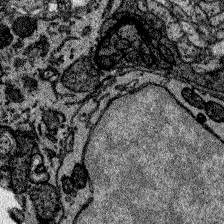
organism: Zebrafish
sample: Larval olfactory bulb